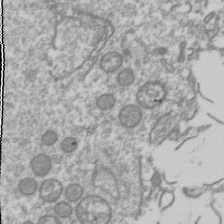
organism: Drosophila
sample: Cell division; meiosis; drosophila spermatocytes